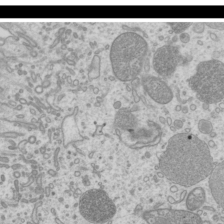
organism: Mouse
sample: Cilia; mouse epididymis